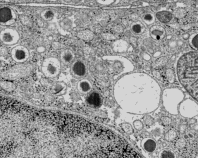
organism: C57BL Mouse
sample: Pancreatic islet